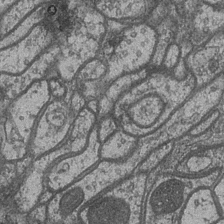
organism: Drosophila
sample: Optic medulla